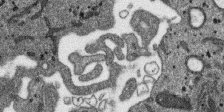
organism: Human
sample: Lung epithelial cells infected with SARS-CoV-2